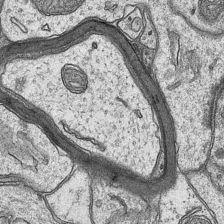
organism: Mouse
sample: CA1 Hippocampus